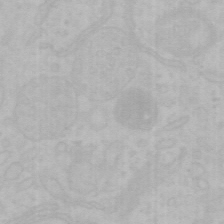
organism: Mouse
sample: Choroid plexus